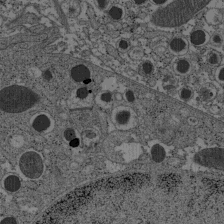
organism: C57BL Mouse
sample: Pancreatic islet